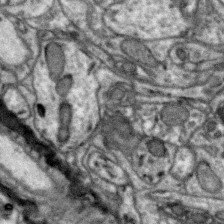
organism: Zebra finch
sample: Brain